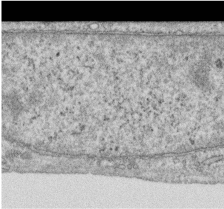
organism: Human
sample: Centriole in RPE cells